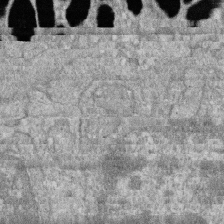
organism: Zebrafish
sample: Cilia; retinal pigment epithelium